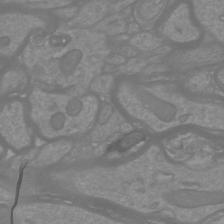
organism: Mouse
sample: Cortical neurons